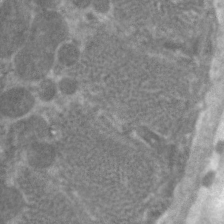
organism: C. elegans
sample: Pharynx